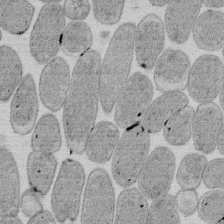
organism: E. coli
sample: Bacterial nucleoid